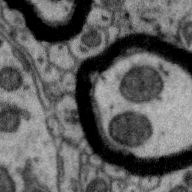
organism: Zebra finch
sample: Brain